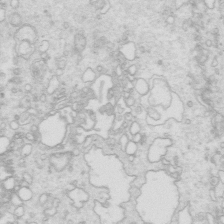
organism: Mouse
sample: Multiciliated cells